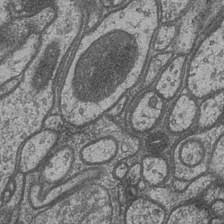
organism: Drosophila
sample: Optic medulla